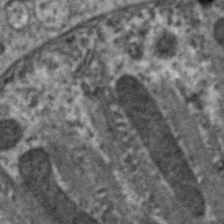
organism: C. elegans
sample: Pharynx